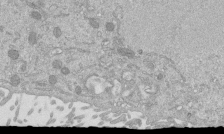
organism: Mouse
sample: ED-1 cell nuclei; centrioles